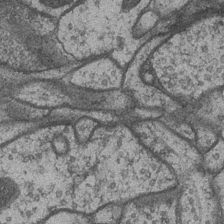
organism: Drosophila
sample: Optic medulla